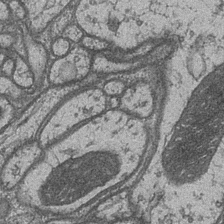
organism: Drosophila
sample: Optic medulla